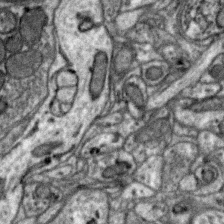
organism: Zebra finch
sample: Brain